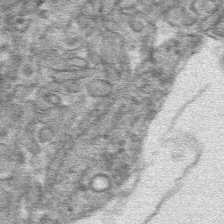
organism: Mouse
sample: Mouse hepatocytes